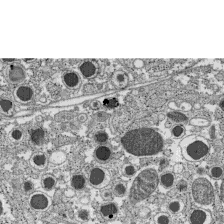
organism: C57BL Mouse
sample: Pancreatic islet